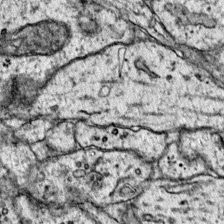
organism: Mouse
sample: Primary visual cortex